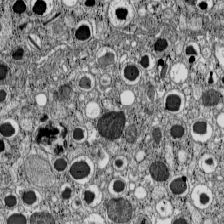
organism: C57BL Mouse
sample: Pancreatic islet